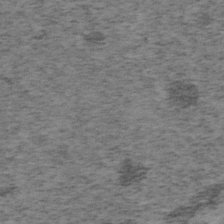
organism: Mouse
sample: OT-I killer T cells with ID8 ovarian cancer cells